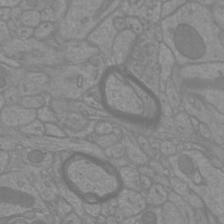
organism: Mouse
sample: Cortical neurons